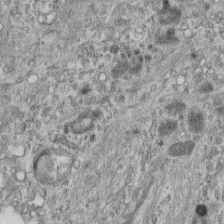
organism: Mouse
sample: Centriole in ependymal cells